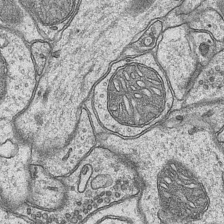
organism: Mouse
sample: CA1 Hippocampus